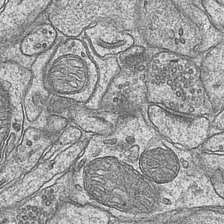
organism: Mouse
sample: CA1 Hippocampus